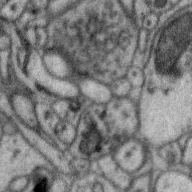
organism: Zebra finch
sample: Brain